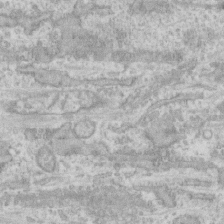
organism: Human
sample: CRL-1474